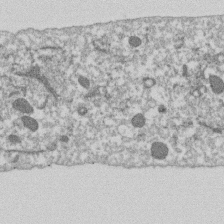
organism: Dictyostelium discoideum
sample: Dictyostelium multivesicular bodies